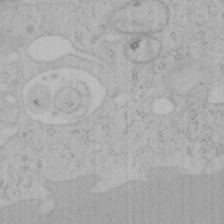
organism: Mouse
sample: OT-I killer T cells with ID8 ovarian cancer cells